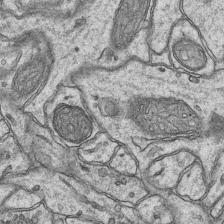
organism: Mouse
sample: CA1 Hippocampus